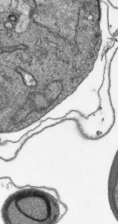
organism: Plasmodium falciparum